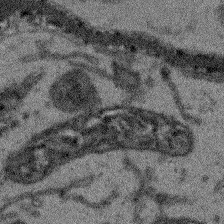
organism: Arabidopsis thaliana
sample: Root tip